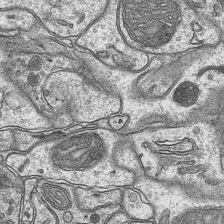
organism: Mouse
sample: CA1 Hippocampus